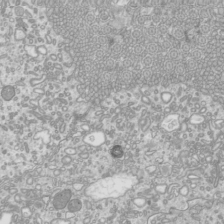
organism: Mouse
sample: Cilia; mouse epididymis